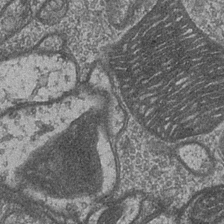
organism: Drosophila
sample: Optic medulla